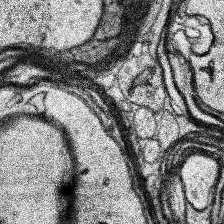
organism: Human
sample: Temporal Lobe